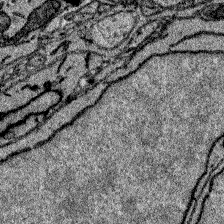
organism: Zebrafish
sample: Larval olfactory bulb